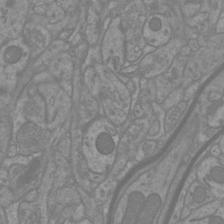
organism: Mouse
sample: Cortical neurons